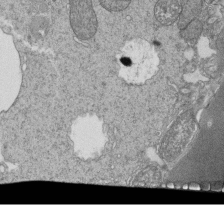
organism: Tetrahymena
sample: Cilia in tetrahymena